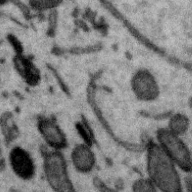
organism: Zebra finch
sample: Brain